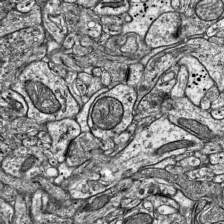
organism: Mouse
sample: Visual Cortex